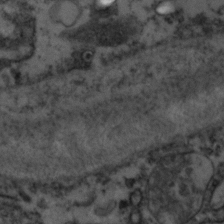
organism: Zebrafish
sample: Zebrafish embryo